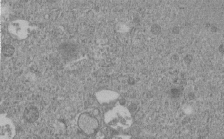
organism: C. elegans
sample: C. elegans embryo early stage